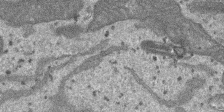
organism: Human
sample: Lung epithelial cells infected with SARS-CoV-2